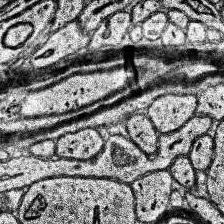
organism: Human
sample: Temporal Lobe